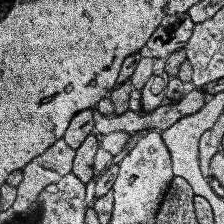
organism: Human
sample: Temporal Lobe